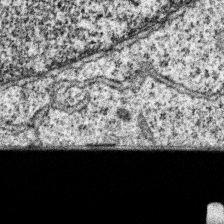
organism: Human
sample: HeLa cells